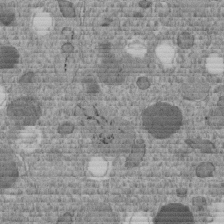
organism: C. elegans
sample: C. elegans embryo early stage